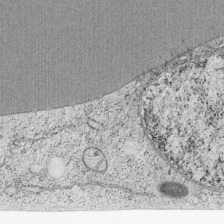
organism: African green monkey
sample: COS-7 cells